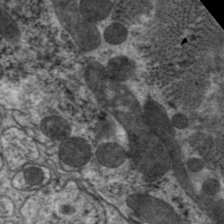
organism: C. elegans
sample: Pharynx